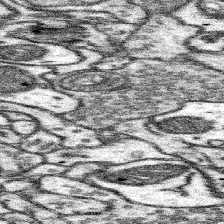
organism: Mouse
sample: Somatosensory cortex neuropil